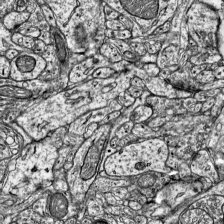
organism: Mouse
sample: Visual Cortex